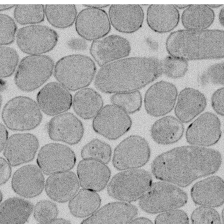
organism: E. coli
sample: Bacterial nucleoid